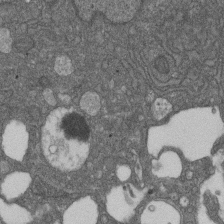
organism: Drosophila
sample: Nephrocyte